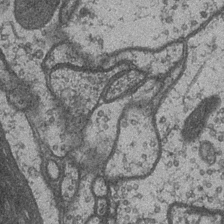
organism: Drosophila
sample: Optic medulla